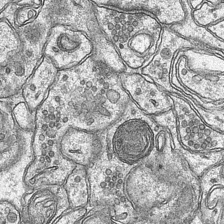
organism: Mouse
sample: CA1 Hippocampus